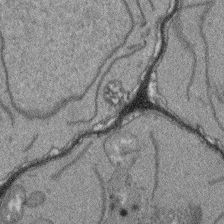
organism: Arabidopsis thaliana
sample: Root tip